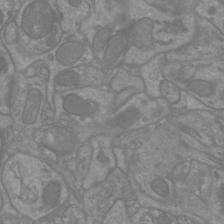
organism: Mouse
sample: Cortical neurons